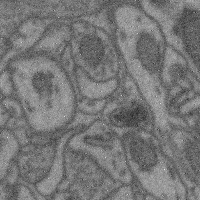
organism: Mouse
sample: Cerebral cortex